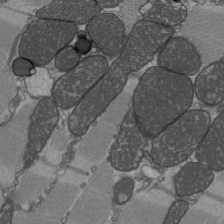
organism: C57BL Mouse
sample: Heart